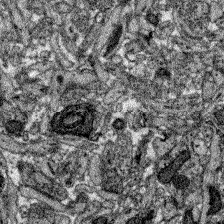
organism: Zebrafish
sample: Larval olfactory bulb